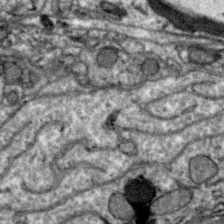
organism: Zebra finch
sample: Brain